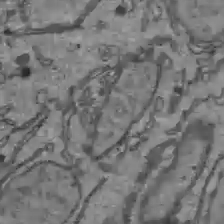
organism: C57BL Mouse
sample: Liver